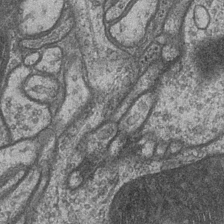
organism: Drosophila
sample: Optic medulla